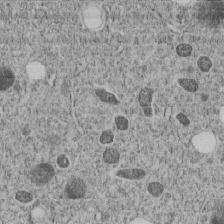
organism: C. elegans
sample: C. elegans embryo early stage